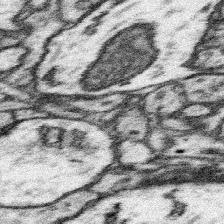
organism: Mouse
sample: Somatosensory cortex neuropil